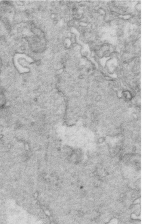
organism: Mouse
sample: Multiciliated cells